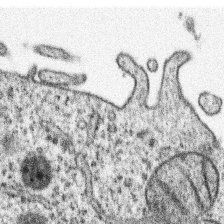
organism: Human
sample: HeLa cells